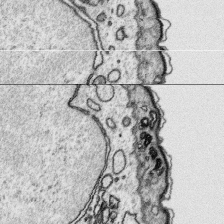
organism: Platynereis dumerilii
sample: Parapodia